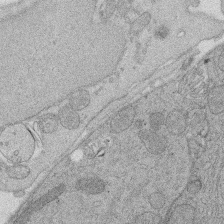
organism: Rat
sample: Salivary granule